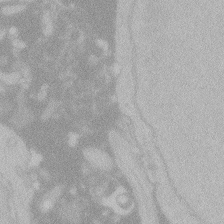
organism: Zebrafish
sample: Macrophage infected with Toxoplasma gondii